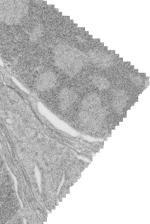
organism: Zebrafish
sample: synaptic ribbons in rod cells and cone cells